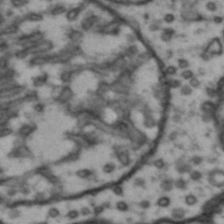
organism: Drosophila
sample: Brain